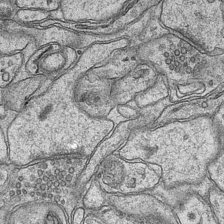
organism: Mouse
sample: CA1 Hippocampus